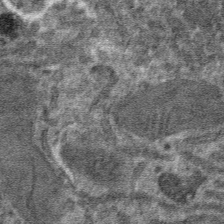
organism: Mouse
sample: Mouse hepatocytes